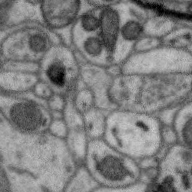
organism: Zebra finch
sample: Brain